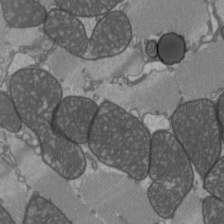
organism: C57BL Mouse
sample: Heart